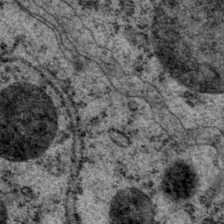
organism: P. pacificus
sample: Pharynx